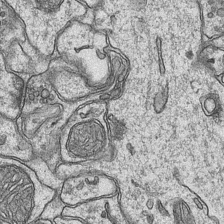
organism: Mouse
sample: CA1 Hippocampus